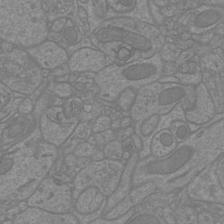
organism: Mouse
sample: Cortical neurons